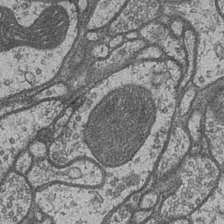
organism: Drosophila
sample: Optic medulla